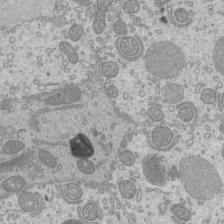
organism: Mouse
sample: Cilia; mouse epididymis